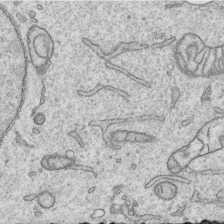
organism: Human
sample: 1205lu cells